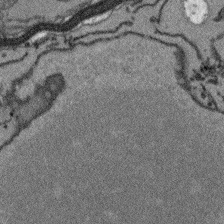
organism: Arabidopsis thaliana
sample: Root tip